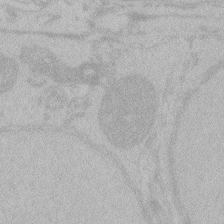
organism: Zebrafish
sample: Macrophage infected with Toxoplasma gondii